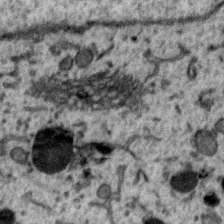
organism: Zebra finch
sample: Brain